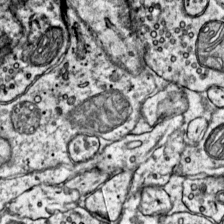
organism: Mouse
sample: Primary visual cortex